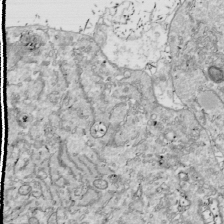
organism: Drosophila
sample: Cell division; meiosis; drosophila spermatocytes